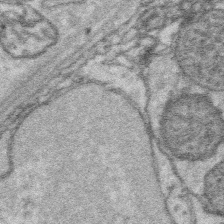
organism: Platynereis dumerilii